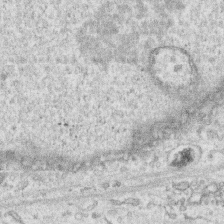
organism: Human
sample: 1205lu cells